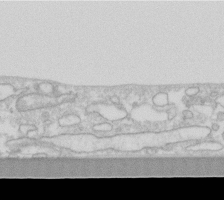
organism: Human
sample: Fibroblast cells